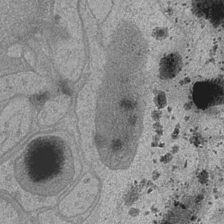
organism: Drosophila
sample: Optic medulla